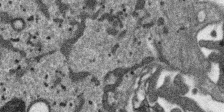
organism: Human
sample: Lung epithelial cells infected with SARS-CoV-2